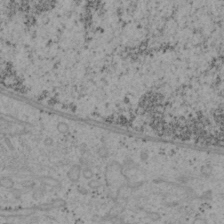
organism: Human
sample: HeLa cells